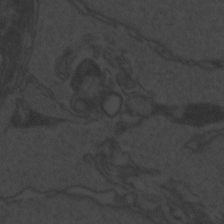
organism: Zebrafish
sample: Macrophage infected with Toxoplasma gondii